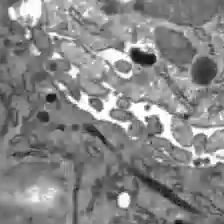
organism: C57BL Mouse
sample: Liver